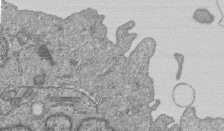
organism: Human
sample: MDA-MB-231 cells